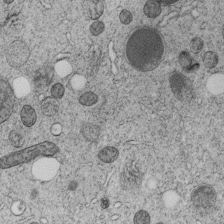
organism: C. elegans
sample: C. elegans embryo early stage